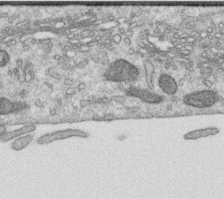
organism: Human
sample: Centriole in RPE cells